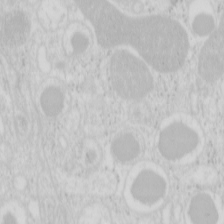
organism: Mouse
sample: Pancreas